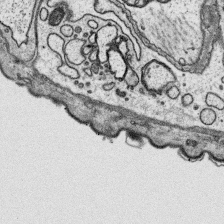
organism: Platynereis dumerilii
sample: Parapodia